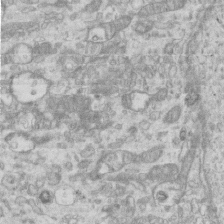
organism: Mouse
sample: Centriole in ependymal cells